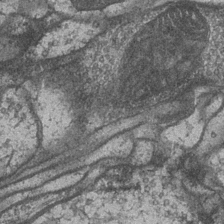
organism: Drosophila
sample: Optic medulla